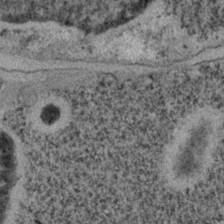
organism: C. elegans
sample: C. elegans embryo